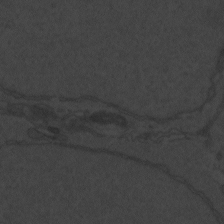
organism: Zebrafish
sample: Macrophage infected with Toxoplasma gondii